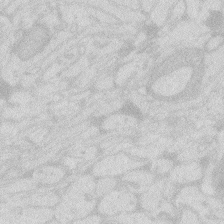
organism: Zebrafish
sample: Macrophage